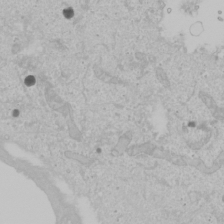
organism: Human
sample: Mitochondria in U2OS cells